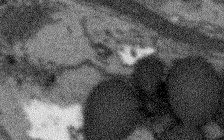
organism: Arabidopsis thaliana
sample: Root tip